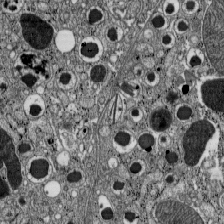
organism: C57BL Mouse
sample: Pancreatic islet